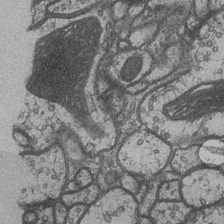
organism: Drosophila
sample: Optic medulla